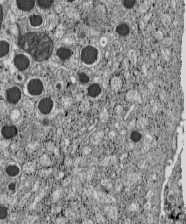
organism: C57BL Mouse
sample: Pancreatic islet